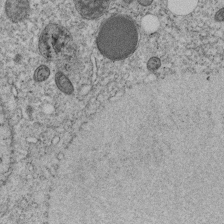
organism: C. elegans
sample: C. elegans embryo early stage